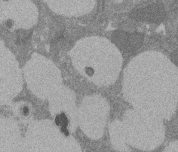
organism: Rat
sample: Salivary granule